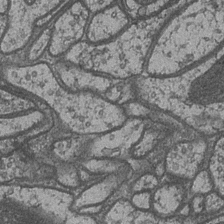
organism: Drosophila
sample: Optic medulla